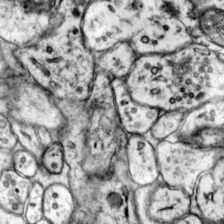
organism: Mouse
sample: Primary visual cortex